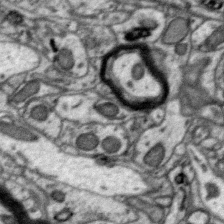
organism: Zebra finch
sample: Brain